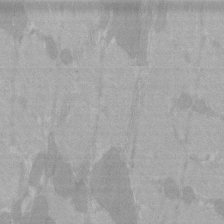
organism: C57BL Mouse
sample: Tibialis anterior muscle cell